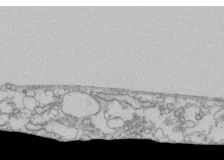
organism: Human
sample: Fibroblast cells